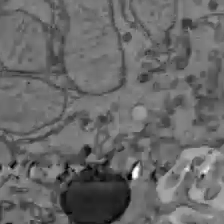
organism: C57BL Mouse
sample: Liver